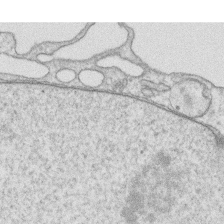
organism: Human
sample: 1205lu cells